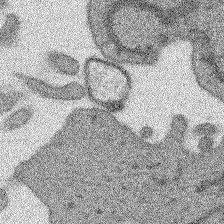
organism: Human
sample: HeLa cells